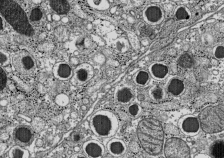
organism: C57BL Mouse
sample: Pancreatic islet